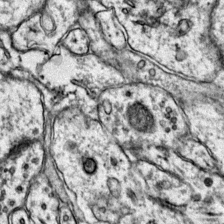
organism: Mouse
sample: Primary visual cortex